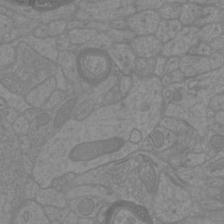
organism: Mouse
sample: Cortical neurons